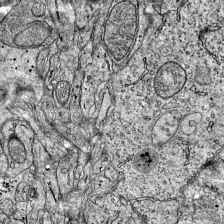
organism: Mouse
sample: Visual Cortex